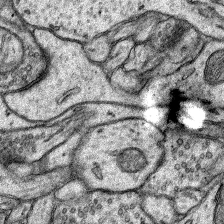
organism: Rat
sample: Hippocampus